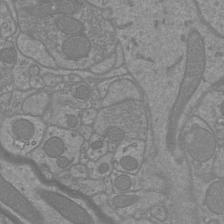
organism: Mouse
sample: Cortical neurons